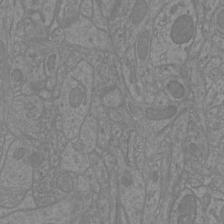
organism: Mouse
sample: Cortical neurons